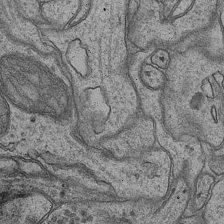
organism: Mouse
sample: CA1 Hippocampus